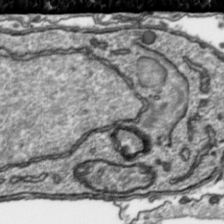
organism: Toxoplasma gondii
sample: Parasites in a vacuole inside a host cell